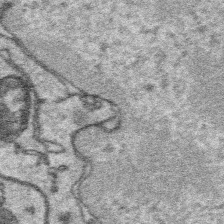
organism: Platynereis dumerilii